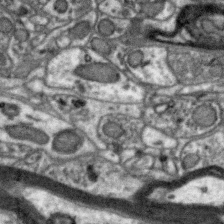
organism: Zebra finch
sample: Brain